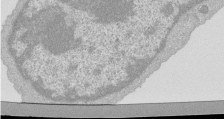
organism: Mouse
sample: Activated Pmel transgenic CD8+ T Cells